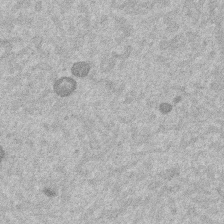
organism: Mouse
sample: Dividing mouse embryo 1 cell stage